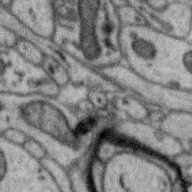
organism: Zebra finch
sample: Brain